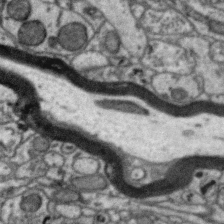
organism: Zebra finch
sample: Brain